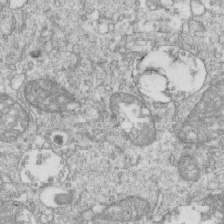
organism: Mouse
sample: Activated OT-1 CD8+ T cells